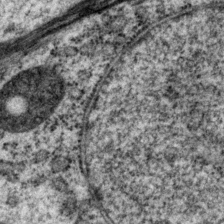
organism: P. pacificus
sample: Pharynx